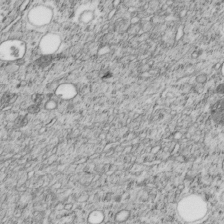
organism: C. elegans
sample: C. elegans embryo early stage